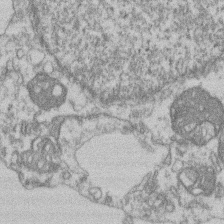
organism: Mouse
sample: T cell stromal cell synapse